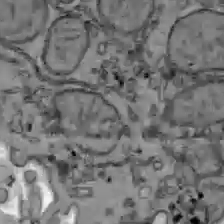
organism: C57BL Mouse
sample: Liver